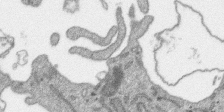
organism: Human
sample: Lung epithelial cells infected with SARS-CoV-2